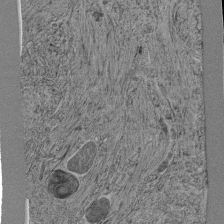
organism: C. elegans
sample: C. elegans pharynx